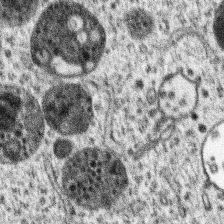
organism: Human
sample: HeLa cells